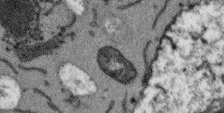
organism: Arabidopsis thaliana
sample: Root tip